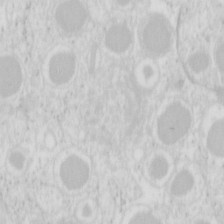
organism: Mouse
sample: Pancreas